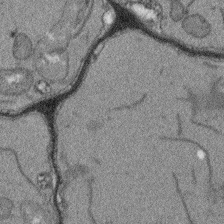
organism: Arabidopsis thaliana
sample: Root tip